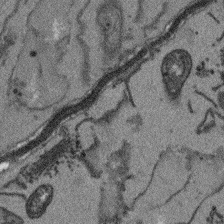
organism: Arabidopsis thaliana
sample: Root tip